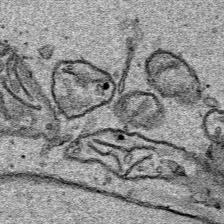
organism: Human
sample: Mitochondria in HCT116 cells